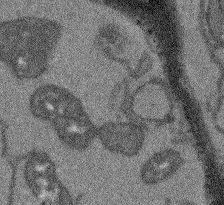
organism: Arabidopsis thaliana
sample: Root tip